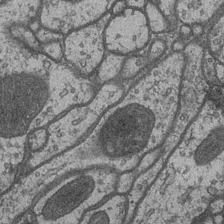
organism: Drosophila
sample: Optic medulla